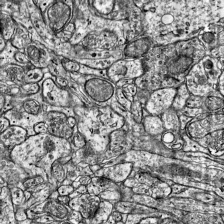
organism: Mouse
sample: Visual Cortex